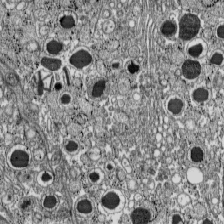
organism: C57BL Mouse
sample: Pancreatic islet